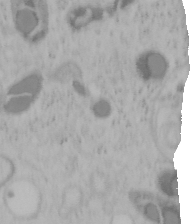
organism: Mouse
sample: OT-I killer T cells with ID8 ovarian cancer cells